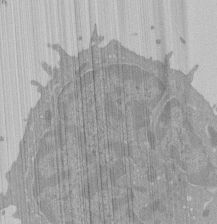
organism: Mouse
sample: Activated Pmel transgenic CD8+ T Cells